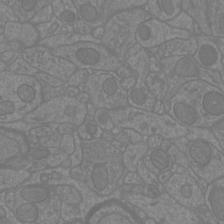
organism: Mouse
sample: Cortical neurons